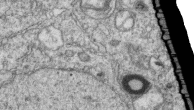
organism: Human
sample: HeLa cell HIV synapse